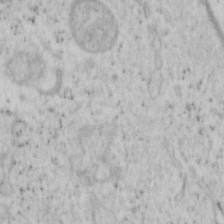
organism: Human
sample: HeLa cells